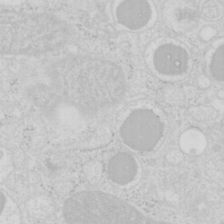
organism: Mouse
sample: Pancreas